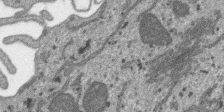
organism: Human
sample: Lung epithelial cells infected with SARS-CoV-2